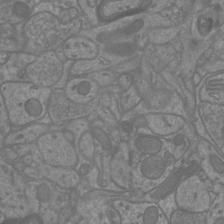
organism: Mouse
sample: Cortical neurons